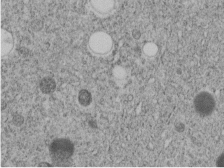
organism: C. elegans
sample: C. elegans embryo early stage